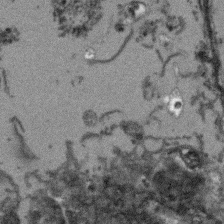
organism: Arabidopsis thaliana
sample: Root tip